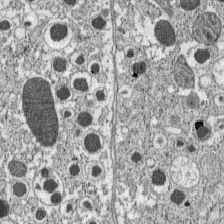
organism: C57BL Mouse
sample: Pancreatic islet